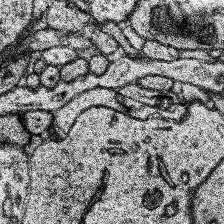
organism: Human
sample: Temporal Lobe